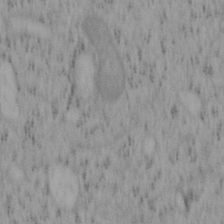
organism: Mouse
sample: OT-I killer T cells with ID8 ovarian cancer cells